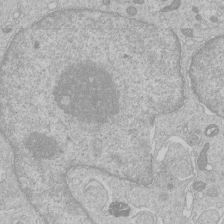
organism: Human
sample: Macrophage cells